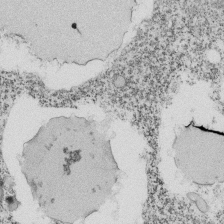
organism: Tetrahymena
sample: Cilia in tetrahymena